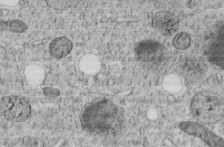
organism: C. elegans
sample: C. elegans embryo early stage